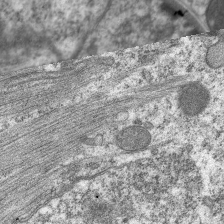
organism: C. elegans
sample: Pharynx